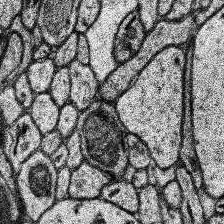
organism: Human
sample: Temporal Lobe